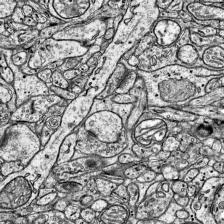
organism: Mouse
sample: Visual Cortex